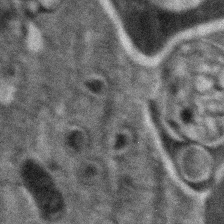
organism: Zebrafish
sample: Zebrafish embryo